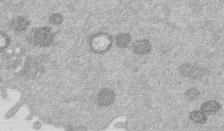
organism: Mouse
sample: Dividing mouse embryo 1 cell stage